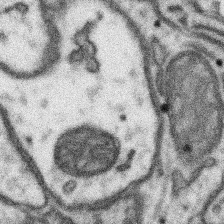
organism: Mouse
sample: Somatosensory cortex neuropil